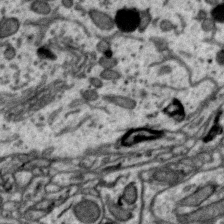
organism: Zebra finch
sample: Brain